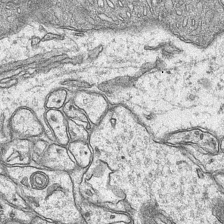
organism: Mouse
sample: CA1 Hippocampus